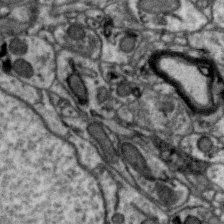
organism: Zebra finch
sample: Brain